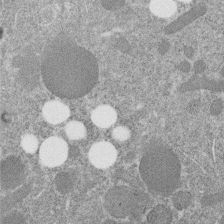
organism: C. elegans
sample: C. elegans embryo early stage